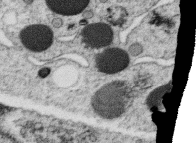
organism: C. elegans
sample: C. elegans oocyte; sperm cells